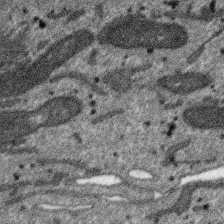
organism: Human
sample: Lung epithelial cells infected with SARS-CoV-2